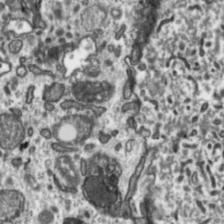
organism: Toxoplasma gondii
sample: Parasites in a vacuole inside a host cell